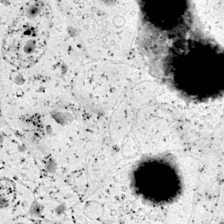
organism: Mouse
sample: Primary visual cortex